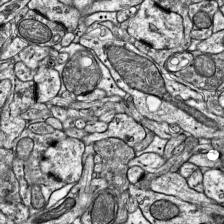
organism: Mouse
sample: Visual Cortex